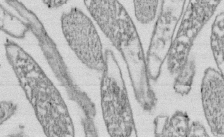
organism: E. coli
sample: Bacterial nucleoid